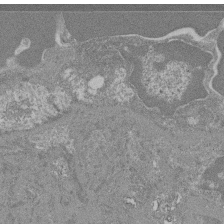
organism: Mouse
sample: Glomerulus